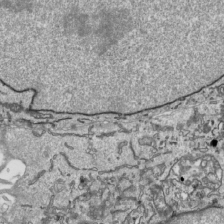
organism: Human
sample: Mitochondria in HCT116 cells